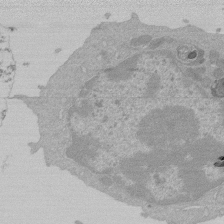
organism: Mouse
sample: Activated Pmel transgenic CD8+ T Cells